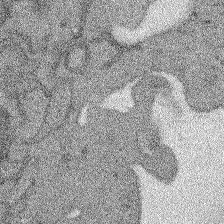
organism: Human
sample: HeLa cells